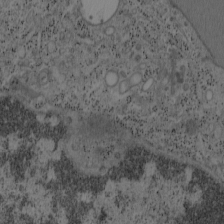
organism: Mouse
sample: OT-I killer T cells with ID8 ovarian cancer cells